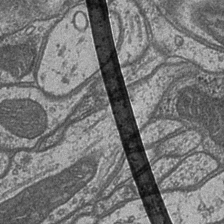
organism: Drosophila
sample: Optic medulla